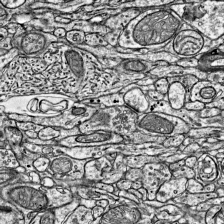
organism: Mouse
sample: Visual Cortex